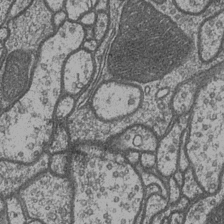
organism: Drosophila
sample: Optic medulla